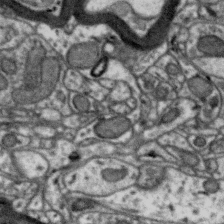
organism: Zebra finch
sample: Brain